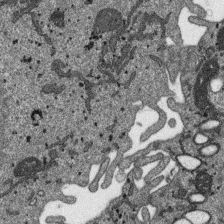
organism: Human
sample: Lung epithelial cells infected with SARS-CoV-2